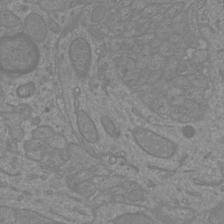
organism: Mouse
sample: Cortical neurons